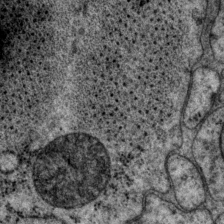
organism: P. pacificus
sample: Pharynx